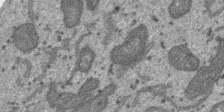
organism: Human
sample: Lung epithelial cells infected with SARS-CoV-2